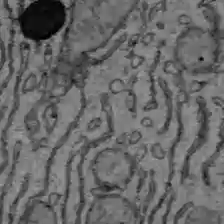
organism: C57BL Mouse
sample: Liver